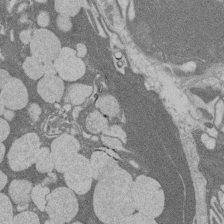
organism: Rat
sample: Salivary granule